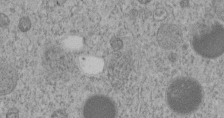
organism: C. elegans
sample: C. elegans embryo early stage